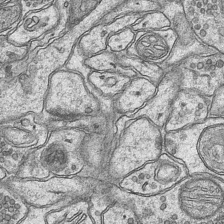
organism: Mouse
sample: CA1 Hippocampus